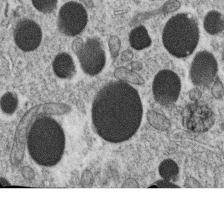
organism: C. elegans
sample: C. elegans oocyte; sperm cells